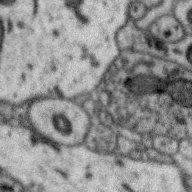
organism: Zebra finch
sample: Brain